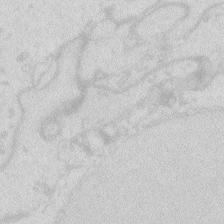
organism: Zebrafish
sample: Macrophage